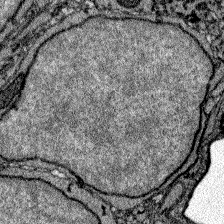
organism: Zebrafish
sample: Larval olfactory bulb